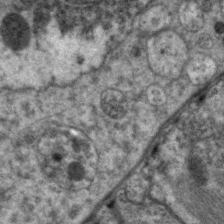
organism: C. elegans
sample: Pharynx